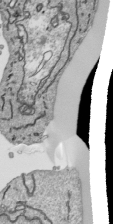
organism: Human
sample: Mitochondria in HCT116 cells